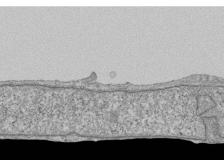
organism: Human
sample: Fibroblast cells